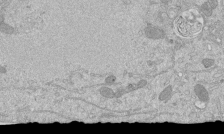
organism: Mouse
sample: ED-1 cell nuclei; centrioles